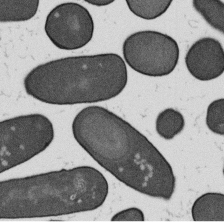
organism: B. subtilis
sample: Bacterial spore